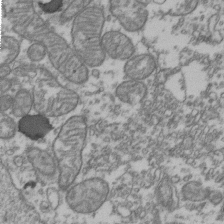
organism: Human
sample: Activated Jurkat CD4+ T cells